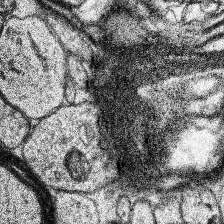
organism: Human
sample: Temporal Lobe